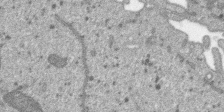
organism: Human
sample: Lung epithelial cells infected with SARS-CoV-2